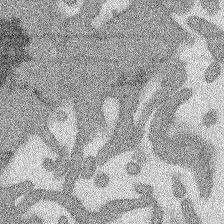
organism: Human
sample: HeLa cells